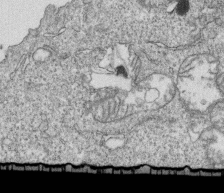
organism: Human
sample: HeLa cell HIV synapse